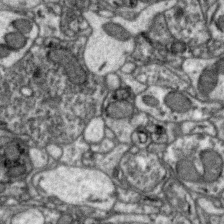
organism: Zebra finch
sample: Brain